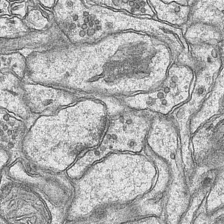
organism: Mouse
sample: CA1 Hippocampus